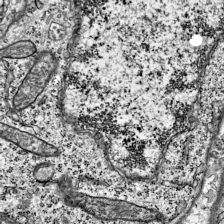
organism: Mouse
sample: Visual Cortex